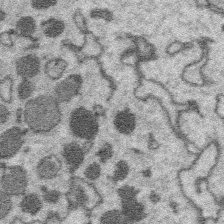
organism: Platynereis dumerilii